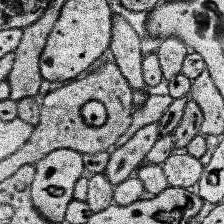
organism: Human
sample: Temporal Lobe